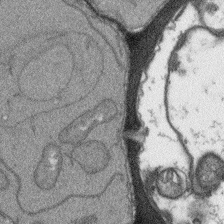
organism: Arabidopsis thaliana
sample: Root tip